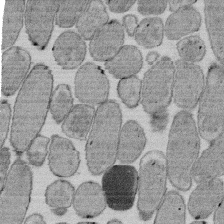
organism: E. coli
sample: Bacterial nucleoid